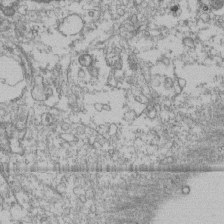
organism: Human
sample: Fibroblast cells